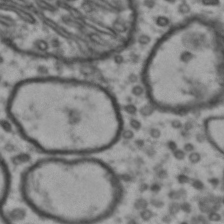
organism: Drosophila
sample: Brain